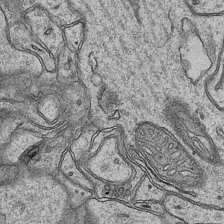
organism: Mouse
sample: CA1 Hippocampus